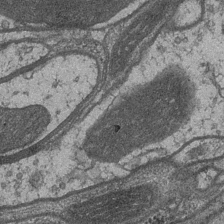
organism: Drosophila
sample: Optic medulla